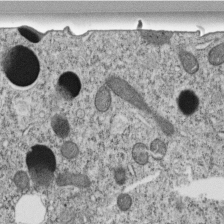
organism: C. elegans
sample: C. elegans embryo early stage